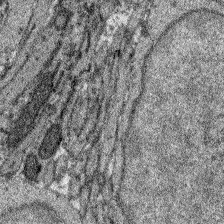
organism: Zebrafish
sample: Larval olfactory bulb